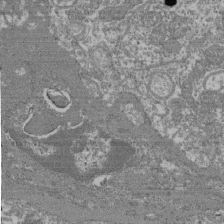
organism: Mouse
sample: Glomerulus